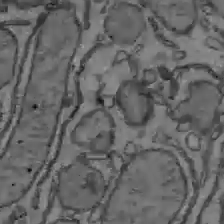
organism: C57BL Mouse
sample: Liver